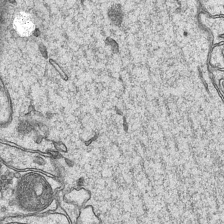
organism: Mouse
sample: CA1 Hippocampus